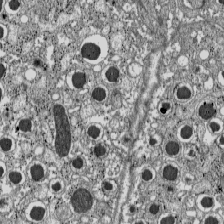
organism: C57BL Mouse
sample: Pancreatic islet